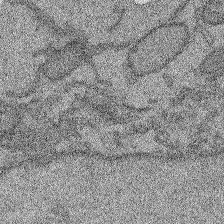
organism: Human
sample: HeLa cells